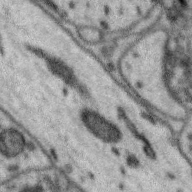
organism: Zebra finch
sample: Brain